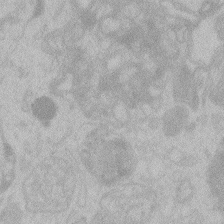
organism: Zebrafish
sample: Macrophage infected with Toxoplasma gondii